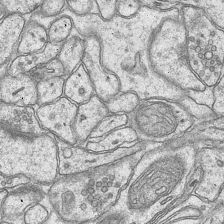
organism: Mouse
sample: CA1 Hippocampus